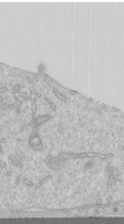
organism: Human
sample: Centriole in RPE cells